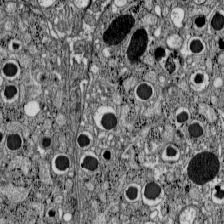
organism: C57BL Mouse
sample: Pancreatic islet